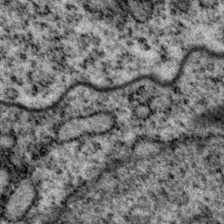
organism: P. pacificus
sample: Pharynx